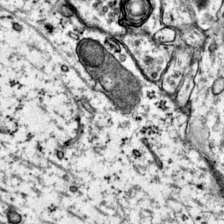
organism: Mouse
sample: Primary visual cortex